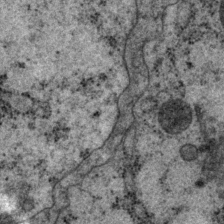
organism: P. pacificus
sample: Pharynx